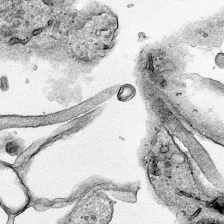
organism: Human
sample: Mitochondria in HCT116 cells